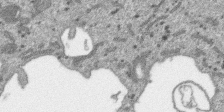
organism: Human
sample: Lung epithelial cells infected with SARS-CoV-2